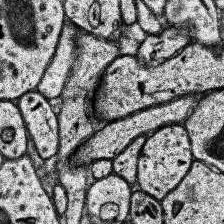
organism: Human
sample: Temporal Lobe